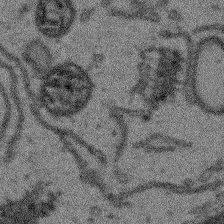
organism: Arabidopsis thaliana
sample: Root tip